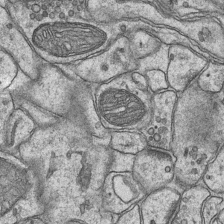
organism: Mouse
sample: CA1 Hippocampus